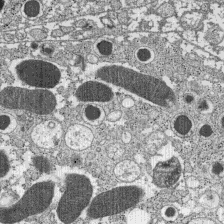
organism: C57BL Mouse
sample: Pancreatic islet